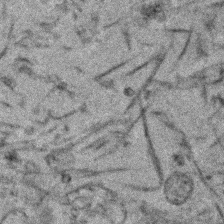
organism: Human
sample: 1205lu cells